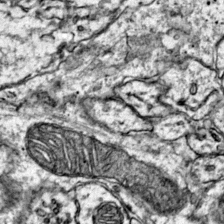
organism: Mouse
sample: Primary visual cortex